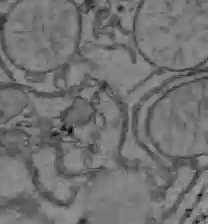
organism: C57BL Mouse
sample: Liver